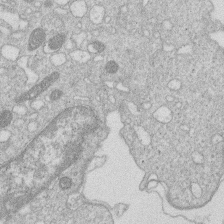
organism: Human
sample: Macrophage cells